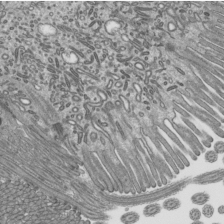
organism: Mouse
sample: Mouse epididymis efferent ductule cilia